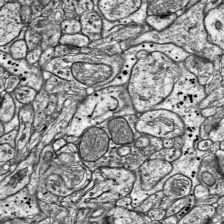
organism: Mouse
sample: Visual Cortex